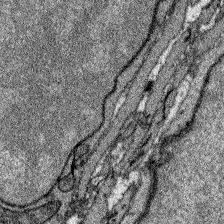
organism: Zebrafish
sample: Larval olfactory bulb